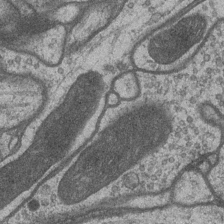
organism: Drosophila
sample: Optic medulla